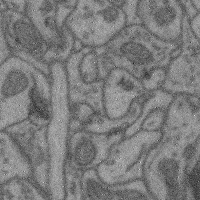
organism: Mouse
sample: Cerebral cortex